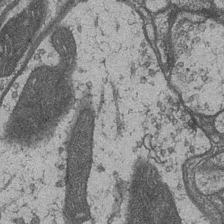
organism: Drosophila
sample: Optic medulla